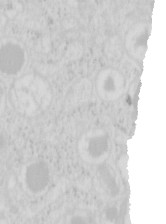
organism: Mouse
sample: Pancreas